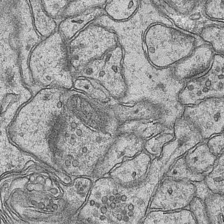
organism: Mouse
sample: CA1 Hippocampus